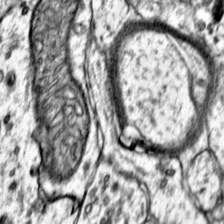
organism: Mouse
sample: Primary visual cortex